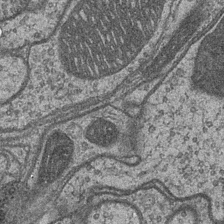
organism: Drosophila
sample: Optic medulla